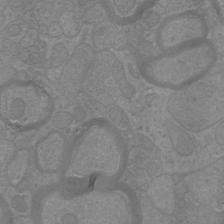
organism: Mouse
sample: Cortical neurons